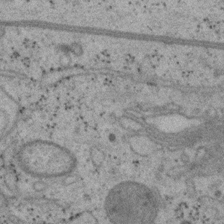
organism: Human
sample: HeLa cells